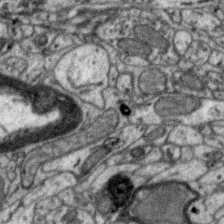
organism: Zebra finch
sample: Brain